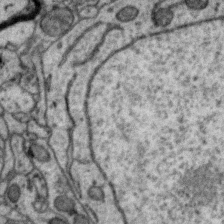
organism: Zebra finch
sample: Brain